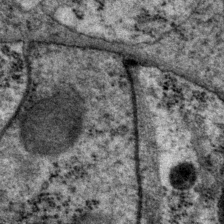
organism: P. pacificus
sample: Pharynx